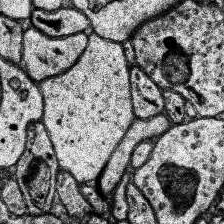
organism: Human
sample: Temporal Lobe